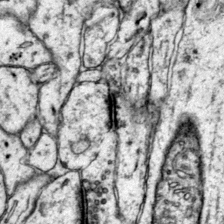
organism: Mouse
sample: Primary visual cortex